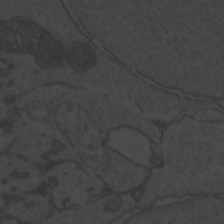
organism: Zebrafish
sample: Macrophage infected with Toxoplasma gondii